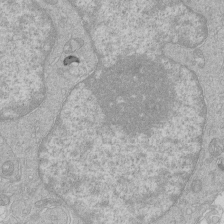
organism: Human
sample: Macrophage cells